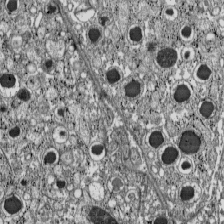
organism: C57BL Mouse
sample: Pancreatic islet